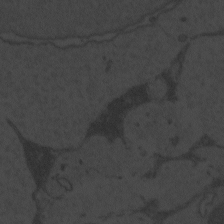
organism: Zebrafish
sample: Macrophage infected with Toxoplasma gondii